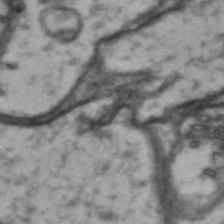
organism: Drosophila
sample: Brain